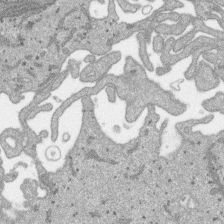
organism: Human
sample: Lung epithelial cells infected with SARS-CoV-2